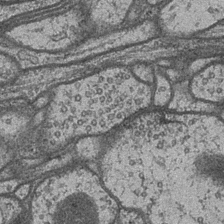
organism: Drosophila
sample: Optic medulla